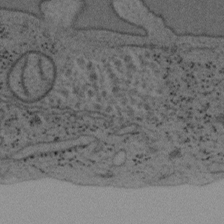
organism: Human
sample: HeLa cells